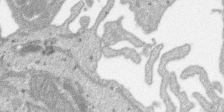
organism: Human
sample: Lung epithelial cells infected with SARS-CoV-2